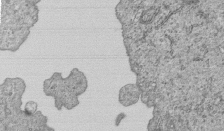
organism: Human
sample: MDA-MB-231 cells